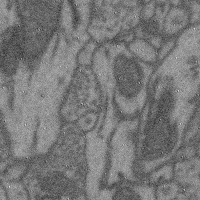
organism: Mouse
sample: Cerebral cortex